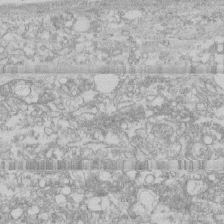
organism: Human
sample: CRL-1474